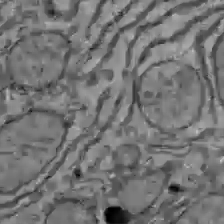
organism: C57BL Mouse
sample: Liver